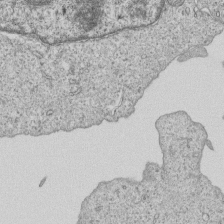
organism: Human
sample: MDA-MB-231 cells